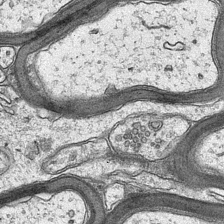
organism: Mouse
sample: CA1 Hippocampus